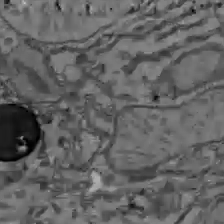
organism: C57BL Mouse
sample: Liver